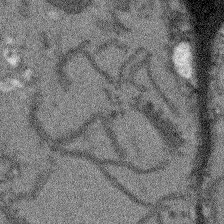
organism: Arabidopsis thaliana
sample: Root tip